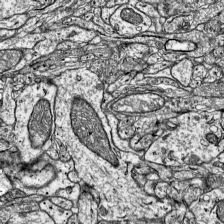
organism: Mouse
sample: Visual Cortex